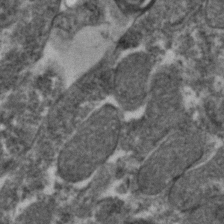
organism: Zebrafish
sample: Zebrafish embryo